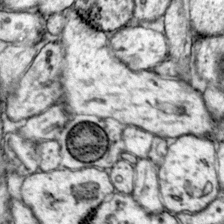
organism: Mouse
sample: Primary visual cortex